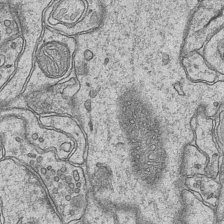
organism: Mouse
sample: CA1 Hippocampus